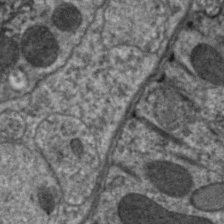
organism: C. elegans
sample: Pharynx